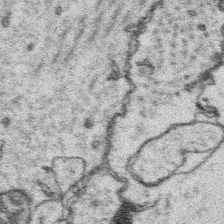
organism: Platynereis dumerilii